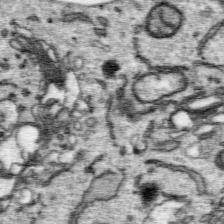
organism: Human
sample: HeLa cells